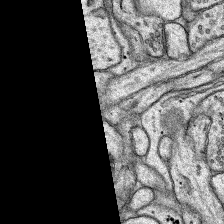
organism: Rat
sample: Hippocampus